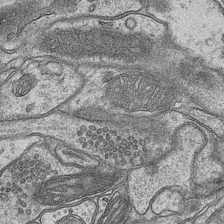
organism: Mouse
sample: CA1 Hippocampus